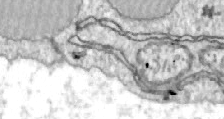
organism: Zebrafish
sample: Actinotrichia fibers